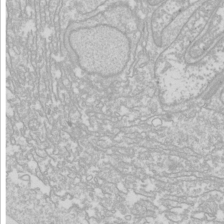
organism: Drosophila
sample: Cell division; meiosis; drosophila spermatocytes